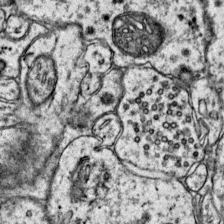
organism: Mouse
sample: Primary visual cortex